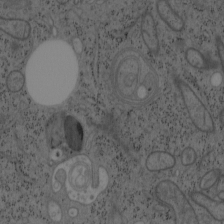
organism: Mouse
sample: OT-I killer T cells with ID8 ovarian cancer cells